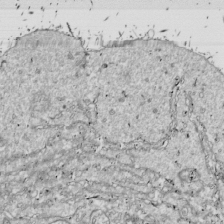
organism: Drosophila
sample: Cell division; meiosis; drosophila spermatocytes